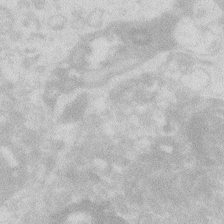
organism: Zebrafish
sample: Macrophage